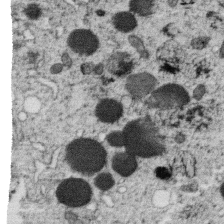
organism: C. elegans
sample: C. elegans oocyte; sperm cells